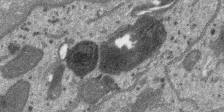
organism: Human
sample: Lung epithelial cells infected with SARS-CoV-2